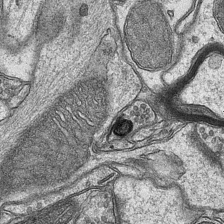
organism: Mouse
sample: CA1 Hippocampus